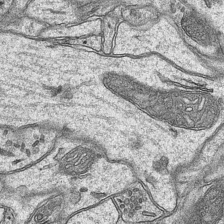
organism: Mouse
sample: CA1 Hippocampus